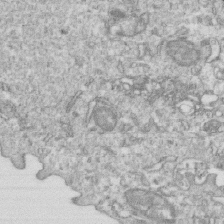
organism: Mouse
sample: Activated OT-1 CD8+ T cells